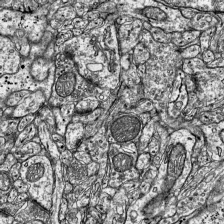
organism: Mouse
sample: Visual Cortex